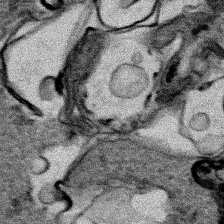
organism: Human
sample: Mitochondria in HCT116 cells